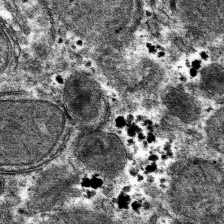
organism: Mouse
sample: Mouse hepatocytes